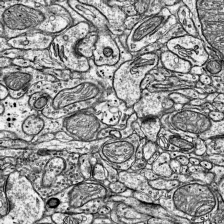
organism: Mouse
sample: Visual Cortex